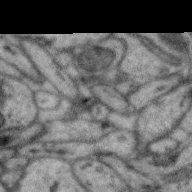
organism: Zebra finch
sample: Brain